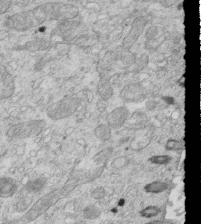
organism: Mouse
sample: Multiciliated cells